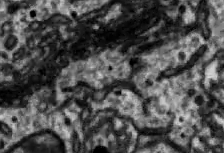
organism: Human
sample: HeLa cells